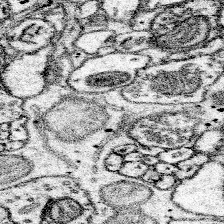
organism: Mouse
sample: Somatosensory cortex neuropil